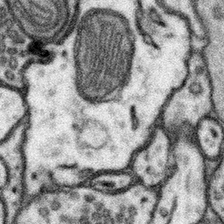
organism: Mouse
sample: Somatosensory cortex neuropil